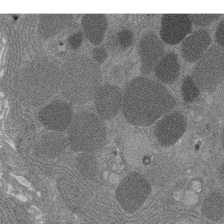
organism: Rat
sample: Salivary granule